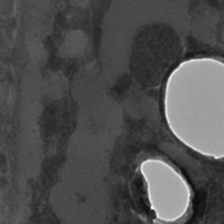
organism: C. elegans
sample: C. elegans embryo